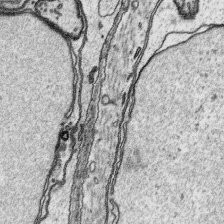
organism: Platynereis dumerilii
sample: Parapodia